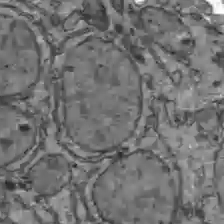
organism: C57BL Mouse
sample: Liver